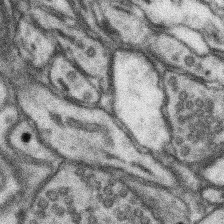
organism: Mouse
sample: Somatosensory cortex neuropil